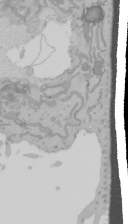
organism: Mouse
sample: Cancer cell death in ED-1 cells